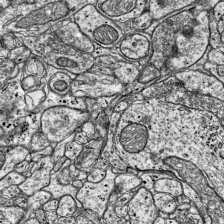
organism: Mouse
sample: Visual Cortex